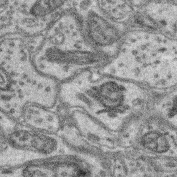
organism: Mouse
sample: Retina